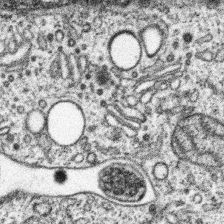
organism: Human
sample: HeLa cells